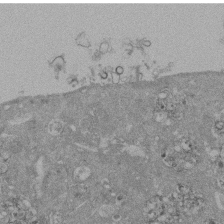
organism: Mouse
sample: ED-1 cell nuclei; centrioles